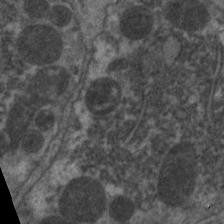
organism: C. elegans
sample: Pharynx